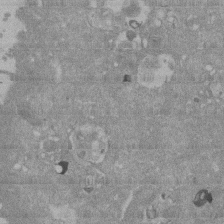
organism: Mouse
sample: ED-1 cell nuclei; centrioles